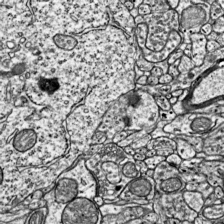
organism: Mouse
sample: Visual Cortex